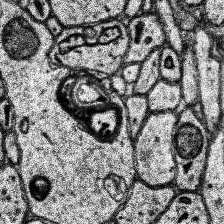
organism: Human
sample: Temporal Lobe